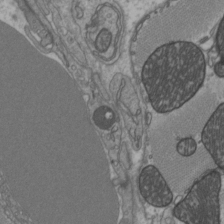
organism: C57BL Mouse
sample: Heart